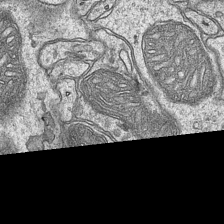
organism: Mouse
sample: CA1 Hippocampus